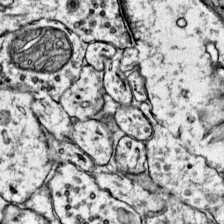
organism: Mouse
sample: Primary visual cortex